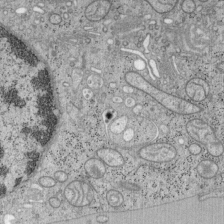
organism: Mouse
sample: OT-I killer T cells with ID8 ovarian cancer cells